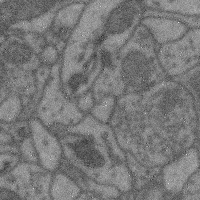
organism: Mouse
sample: Cerebral cortex